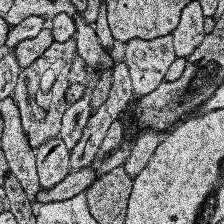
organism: Human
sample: Temporal Lobe